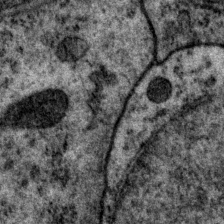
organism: P. pacificus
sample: Pharynx